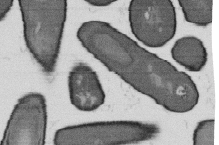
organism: B. subtilis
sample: Bacterial spore